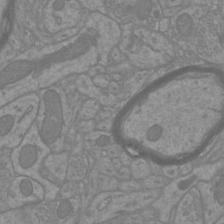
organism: Mouse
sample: Cortical neurons